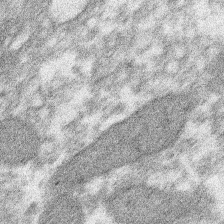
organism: Xenopus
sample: Cilia; centrioles in frog embryo cells